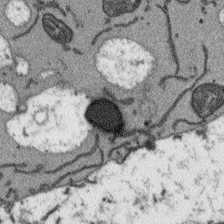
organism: Arabidopsis thaliana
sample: Root tip